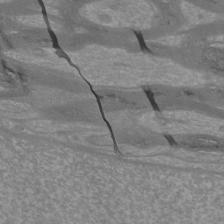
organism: Mouse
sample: Cortical neurons